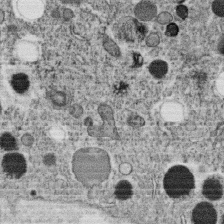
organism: C. elegans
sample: C. elegans oocyte; sperm cells